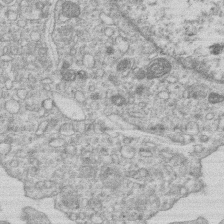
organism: Human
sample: Macrophage cells